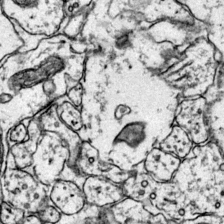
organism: Mouse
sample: Primary visual cortex